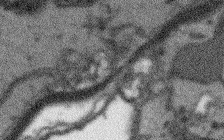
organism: Arabidopsis thaliana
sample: Root tip